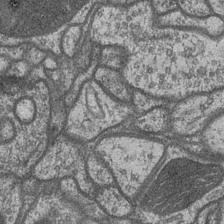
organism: Drosophila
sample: Optic medulla